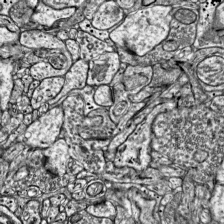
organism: Mouse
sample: Visual Cortex